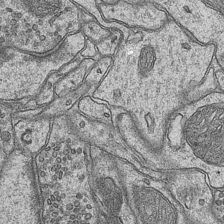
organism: Mouse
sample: CA1 Hippocampus